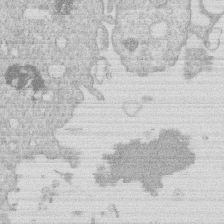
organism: Human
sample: Macrophage cells